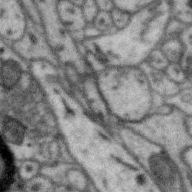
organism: Zebra finch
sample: Brain